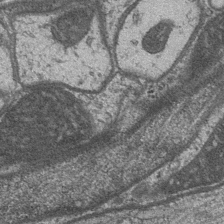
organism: Drosophila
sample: Optic medulla